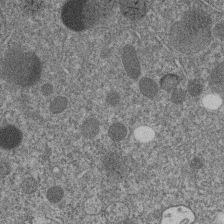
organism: C. elegans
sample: C. elegans embryo early stage